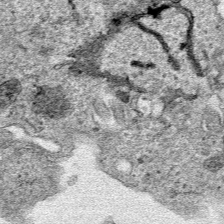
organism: Human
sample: Mitochondria in HCT116 cells